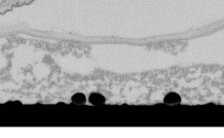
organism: C. elegans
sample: C. elegans embryo early stage